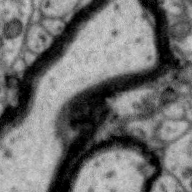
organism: Zebra finch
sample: Brain